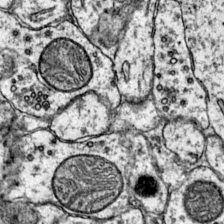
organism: Mouse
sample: Primary visual cortex